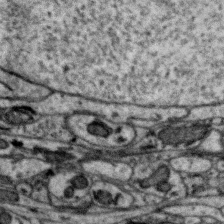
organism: Zebra finch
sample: Brain